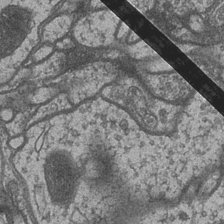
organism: Drosophila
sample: Optic medulla